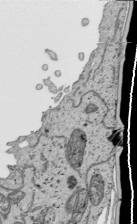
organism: Human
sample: Mitochondria in HCT116 cells